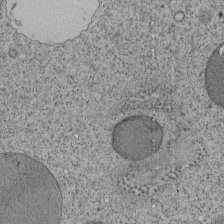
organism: Tetrahymena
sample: Cilia in tetrahymena